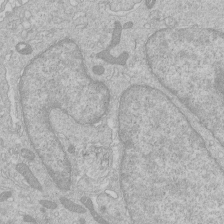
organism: Human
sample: Macrophage cells